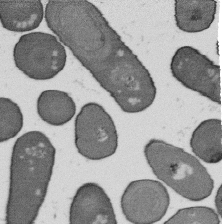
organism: B. subtilis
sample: Bacterial spore